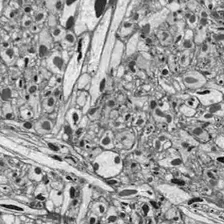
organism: Drosophila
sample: Optic lobe